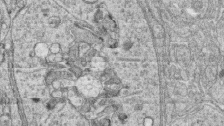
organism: Zebrafish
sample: synaptic ribbons in rod cells and cone cells